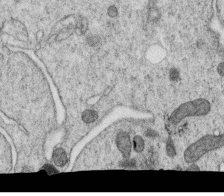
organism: C. elegans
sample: C. elegans oocyte; sperm cells